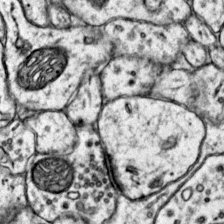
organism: Mouse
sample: Primary visual cortex